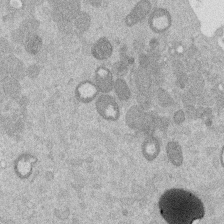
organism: Mouse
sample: Dividing mouse embryo 1 cell stage